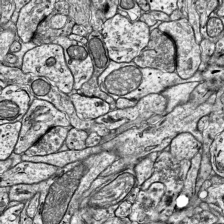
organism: Mouse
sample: Visual Cortex